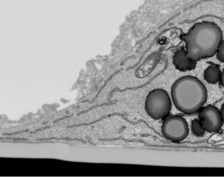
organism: Human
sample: Mitochondria in HCT116 cells